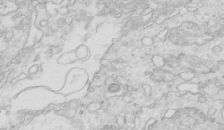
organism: Mouse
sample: Multiciliated cells